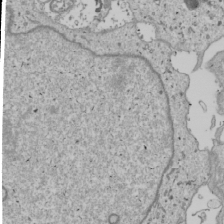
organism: Human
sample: Mitochondria in U2OS cells